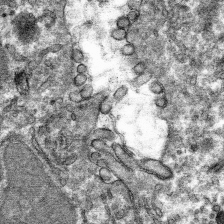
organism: Mouse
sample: Mouse hepatocytes